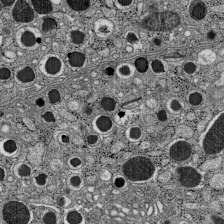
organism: C57BL Mouse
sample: Pancreatic islet